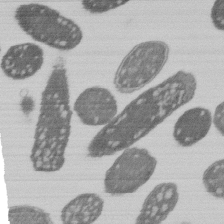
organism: E. coli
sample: Bacterial nucleoid